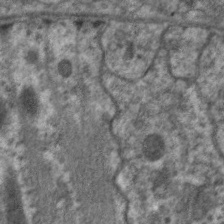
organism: C. elegans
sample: Pharynx